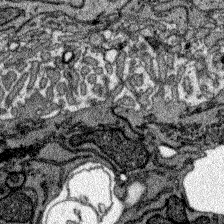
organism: Zebrafish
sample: Larval olfactory bulb